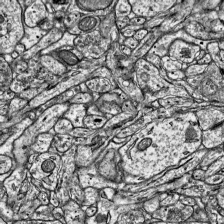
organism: Mouse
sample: Visual Cortex